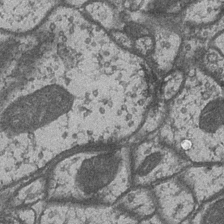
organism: Drosophila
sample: Optic medulla